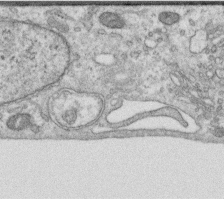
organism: Human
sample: Centriole in RPE cells